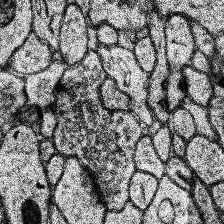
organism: Human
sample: Temporal Lobe